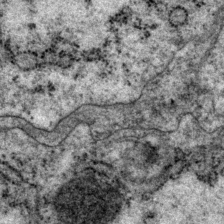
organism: P. pacificus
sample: Pharynx